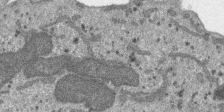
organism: Human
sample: Lung epithelial cells infected with SARS-CoV-2